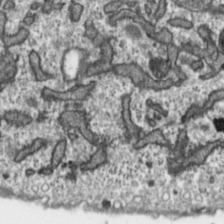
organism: Toxoplasma gondii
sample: Parasites in a vacuole inside a host cell